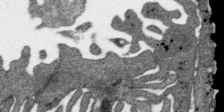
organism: Human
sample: Lung epithelial cells, uninfected (mock) control